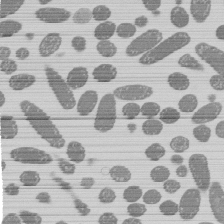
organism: E. coli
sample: Bacterial nucleoid